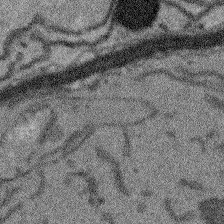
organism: Arabidopsis thaliana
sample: Root tip